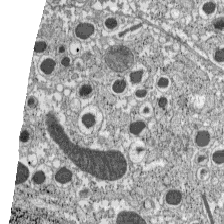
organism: C57BL Mouse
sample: Pancreatic islet